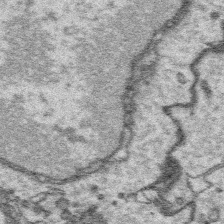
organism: Platynereis dumerilii